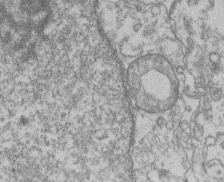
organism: Mouse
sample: T cell stromal cell synapse